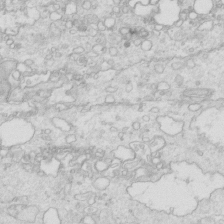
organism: Mouse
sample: Multiciliated cells